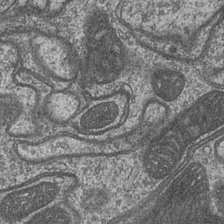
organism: Drosophila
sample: Optic medulla